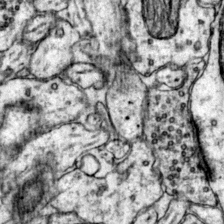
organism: Mouse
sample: Primary visual cortex